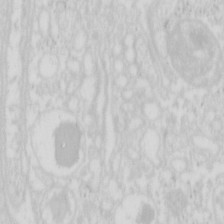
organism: Mouse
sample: Pancreas